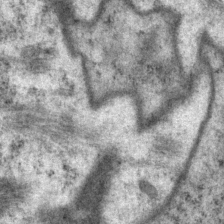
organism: P. pacificus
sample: Pharynx